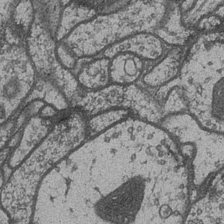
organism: Drosophila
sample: Optic medulla